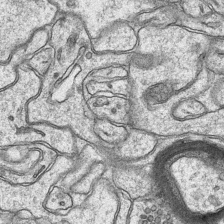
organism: Mouse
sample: CA1 Hippocampus